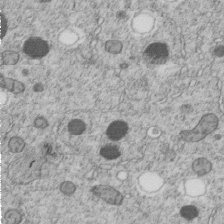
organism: C. elegans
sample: C. elegans embryo early stage